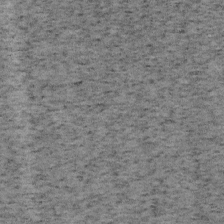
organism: Mouse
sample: OT-I killer T cells with ID8 ovarian cancer cells